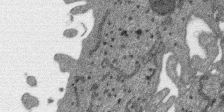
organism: Human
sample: Lung epithelial cells infected with SARS-CoV-2